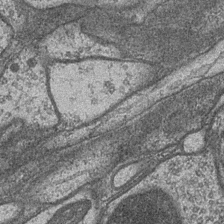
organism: Drosophila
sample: Optic medulla